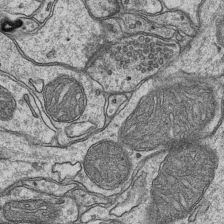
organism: Mouse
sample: CA1 Hippocampus